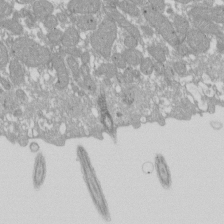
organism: Xenopus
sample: Cilia; centrioles in frog embryo cells